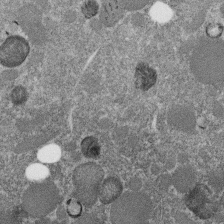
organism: C. elegans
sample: C. elegans embryo early stage